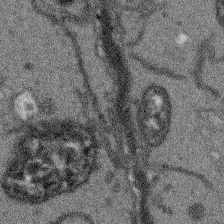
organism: Arabidopsis thaliana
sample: Root tip